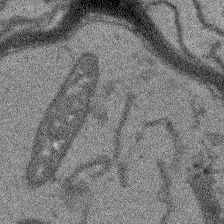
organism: Arabidopsis thaliana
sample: Root tip